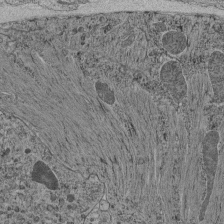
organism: C. elegans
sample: C. elegans pharynx